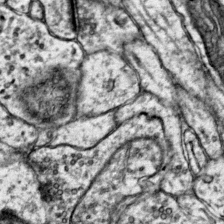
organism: Mouse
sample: Primary visual cortex